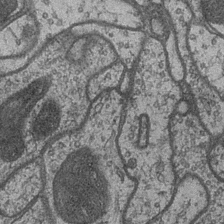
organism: Drosophila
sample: Optic medulla